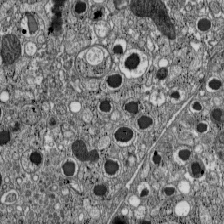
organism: C57BL Mouse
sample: Pancreatic islet